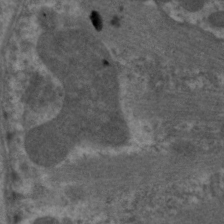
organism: C. elegans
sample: Pharynx